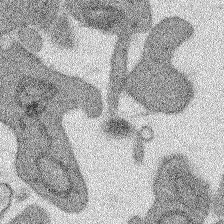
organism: Human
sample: HeLa cells